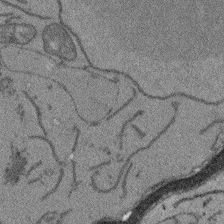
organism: Arabidopsis thaliana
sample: Root tip